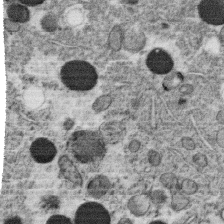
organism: C. elegans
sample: C. elegans oocyte; sperm cells